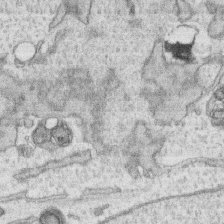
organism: Human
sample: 1205lu cells